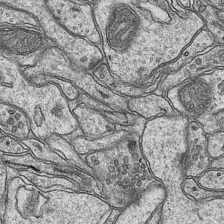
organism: Mouse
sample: CA1 Hippocampus